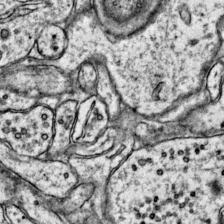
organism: Mouse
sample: Primary visual cortex